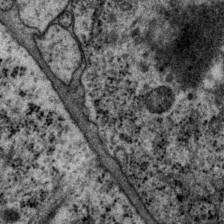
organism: P. pacificus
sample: Pharynx